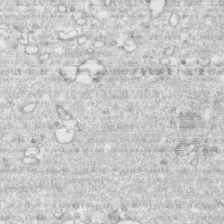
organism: Human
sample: CRL-1474